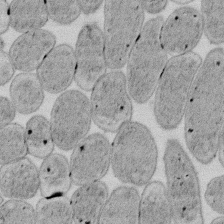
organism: E. coli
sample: Bacterial nucleoid